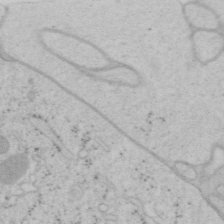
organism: Human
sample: HeLa cells